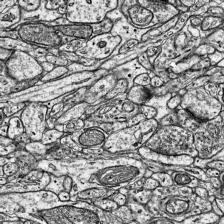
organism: Mouse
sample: Visual Cortex